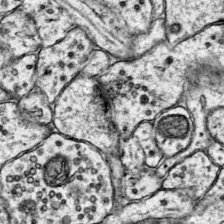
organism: Mouse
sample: Primary visual cortex